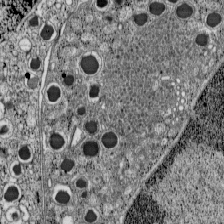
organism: C57BL Mouse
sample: Pancreatic islet